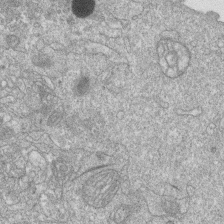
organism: Human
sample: HeLa cell HIV synapse